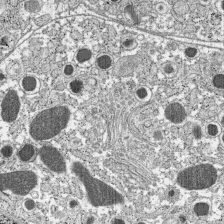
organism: C57BL Mouse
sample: Pancreatic islet